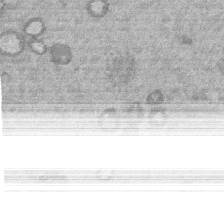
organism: Mouse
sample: Dividing mouse embryo 1 cell stage